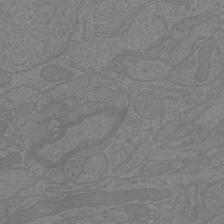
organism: Mouse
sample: Cortical neurons